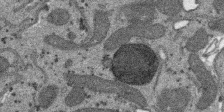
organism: Human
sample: Lung epithelial cells infected with SARS-CoV-2